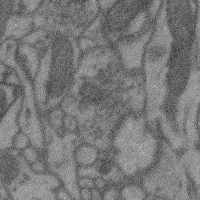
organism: Mouse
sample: Cerebral cortex